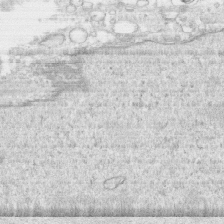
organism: Human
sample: CRL-1474